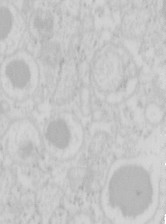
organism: Mouse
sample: Pancreas